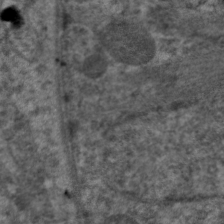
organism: C. elegans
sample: Pharynx